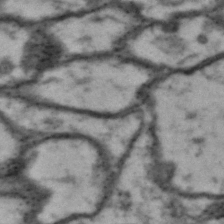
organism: Drosophila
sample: Brain